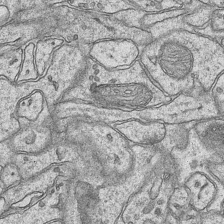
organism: Mouse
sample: CA1 Hippocampus